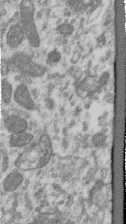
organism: Human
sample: Centriole in RPE cells